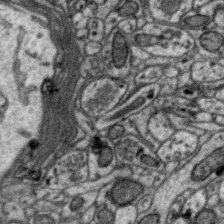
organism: Zebra finch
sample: Brain